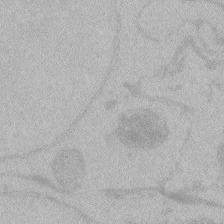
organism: Zebrafish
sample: Macrophage infected with Toxoplasma gondii